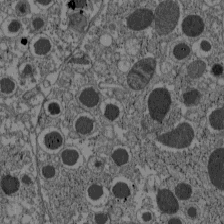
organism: C57BL Mouse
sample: Pancreatic islet